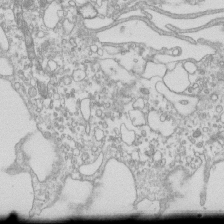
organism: Mouse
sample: Macrophages